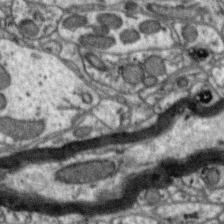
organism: Zebra finch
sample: Brain